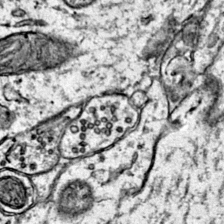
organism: Mouse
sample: Primary visual cortex